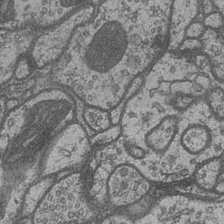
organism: Drosophila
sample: Optic medulla